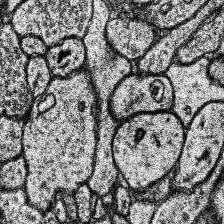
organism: Human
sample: Temporal Lobe